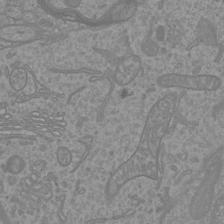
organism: Mouse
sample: Cortical neurons